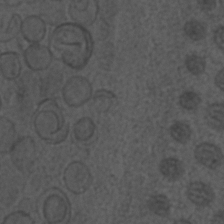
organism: C. elegans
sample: C. elegans embryo